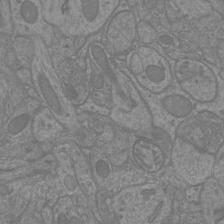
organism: Mouse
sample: Cortical neurons